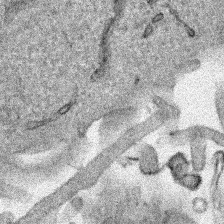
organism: Human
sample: Mitochondria in HCT116 cells